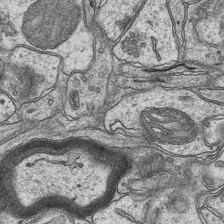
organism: Mouse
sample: CA1 Hippocampus